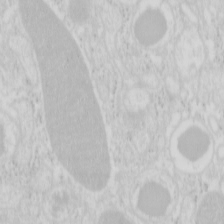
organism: Mouse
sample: Pancreas